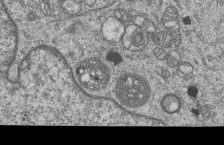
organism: Human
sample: MDA-MB-231 cells